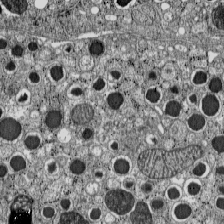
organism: C57BL Mouse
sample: Pancreatic islet